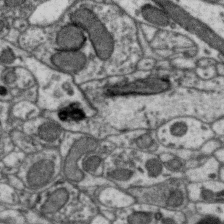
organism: Zebra finch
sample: Brain